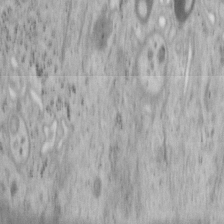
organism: Human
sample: HeLa cells